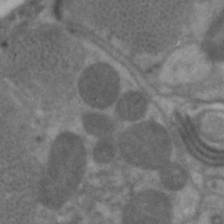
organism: C. elegans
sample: Pharynx